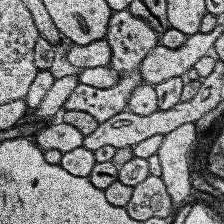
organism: Human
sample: Temporal Lobe